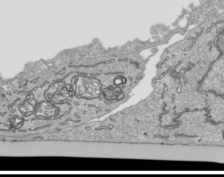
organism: Human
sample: Mitochondria in HCT116 cells